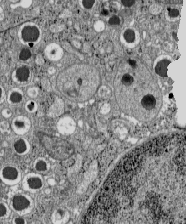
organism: C57BL Mouse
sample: Pancreatic islet